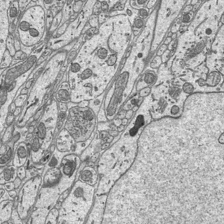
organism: Mouse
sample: Suprachiasmatic nucleus